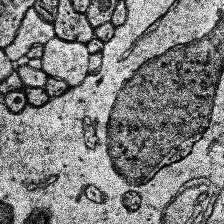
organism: Human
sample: Temporal Lobe